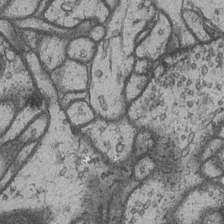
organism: Drosophila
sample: Optic medulla